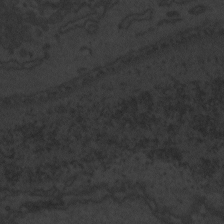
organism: Zebrafish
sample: Macrophage infected with Toxoplasma gondii